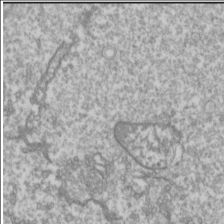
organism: Drosophila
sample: Cell division; meiosis; drosophila spermatocytes